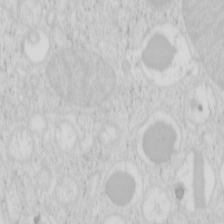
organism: Mouse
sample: Pancreas